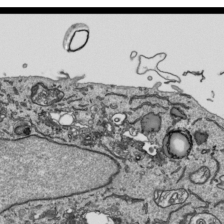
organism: Human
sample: Mitochondria in HCT116 cells